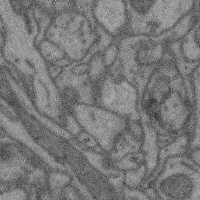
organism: Mouse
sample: Cerebral cortex